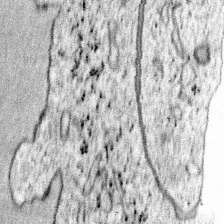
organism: Human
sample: HeLa cells